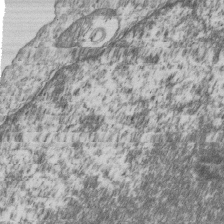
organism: Human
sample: MDA-MB-231 cells